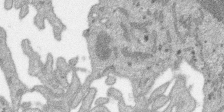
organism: Human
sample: Lung epithelial cells infected with SARS-CoV-2